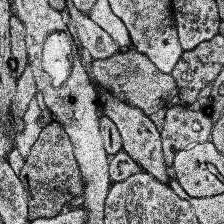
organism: Human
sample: Temporal Lobe